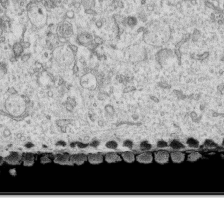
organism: Human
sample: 1205lu cells